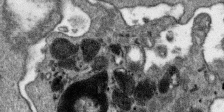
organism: Human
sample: Lung epithelial cells, uninfected (mock) control